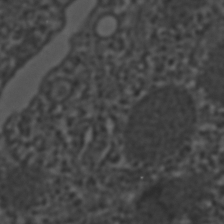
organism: C. elegans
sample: C. elegans embryo